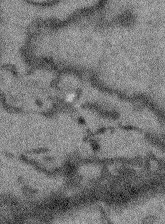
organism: Arabidopsis thaliana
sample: Root tip